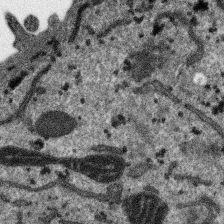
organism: Human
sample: Lung epithelial cells infected with SARS-CoV-2